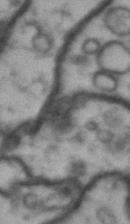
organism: Drosophila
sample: Brain